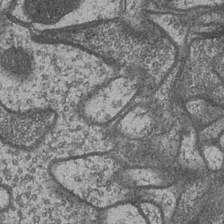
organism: Drosophila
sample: Optic medulla